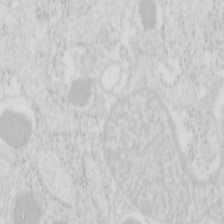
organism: Mouse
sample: Pancreas